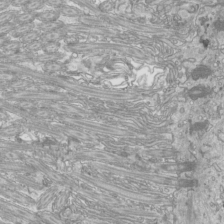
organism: Mouse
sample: Cilia; mouse epididymis